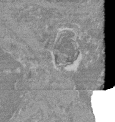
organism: Mouse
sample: Glomerulus